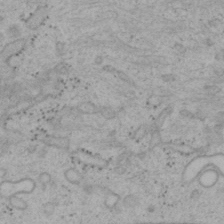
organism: Human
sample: HeLa cells